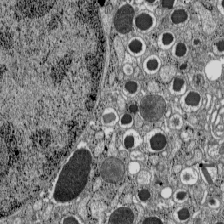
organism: C57BL Mouse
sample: Pancreatic islet